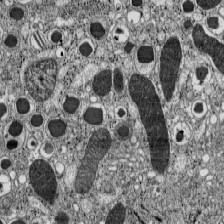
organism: C57BL Mouse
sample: Pancreatic islet